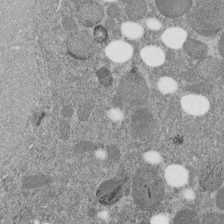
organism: C. elegans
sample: C. elegans embryo early stage